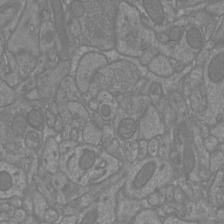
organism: Mouse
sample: Cortical neurons